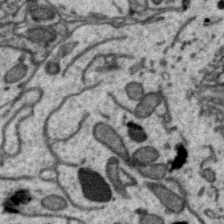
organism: Zebra finch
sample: Brain